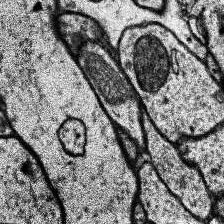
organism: Human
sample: Temporal Lobe